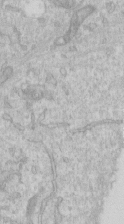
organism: Human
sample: Centriole in RPE cells